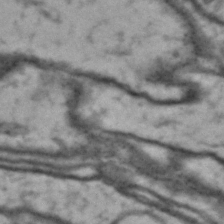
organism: Drosophila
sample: Brain